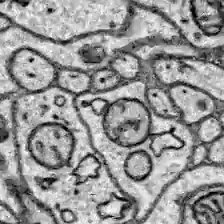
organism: Zebrafish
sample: Brain